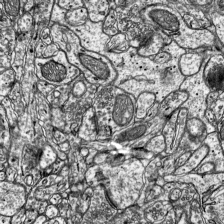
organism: Mouse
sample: Visual Cortex